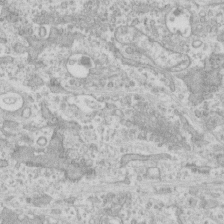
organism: Human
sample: CRL-1474